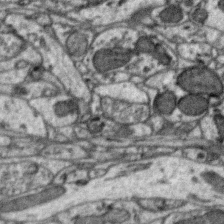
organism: Zebra finch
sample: Brain